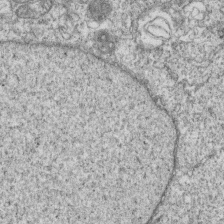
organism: Human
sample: HeLa cell HIV synapse